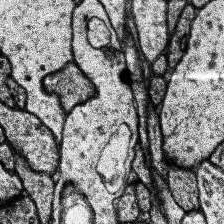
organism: Human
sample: Temporal Lobe